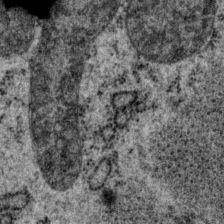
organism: P. pacificus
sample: Pharynx